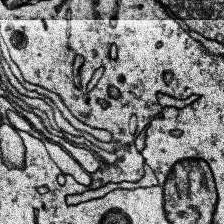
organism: Human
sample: Temporal Lobe